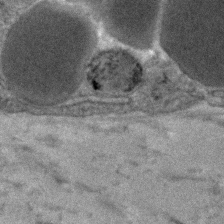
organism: Human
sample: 1205lu cells